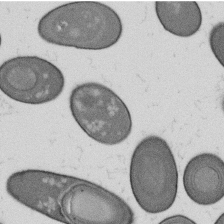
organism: B. subtilis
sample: Bacterial spore